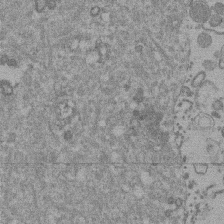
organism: Mouse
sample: Dividing mouse embryo 1 cell stage